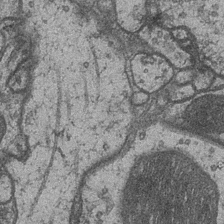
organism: Drosophila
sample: Optic medulla